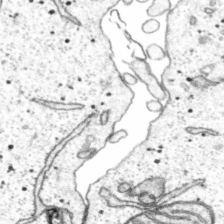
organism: Human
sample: HeLa cells